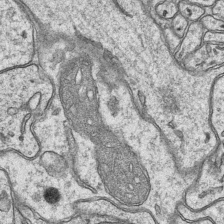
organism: Mouse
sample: CA1 Hippocampus